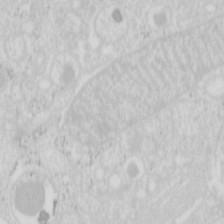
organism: Mouse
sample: Pancreas